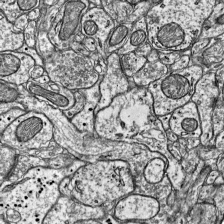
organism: Mouse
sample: Visual Cortex